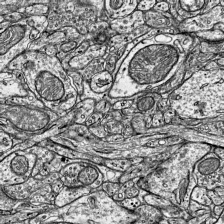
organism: Mouse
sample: Visual Cortex